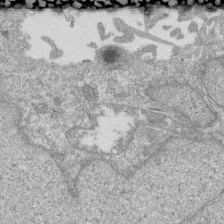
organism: Human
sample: HeLa cell HIV synapse